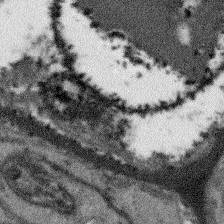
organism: Arabidopsis thaliana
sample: Root tip